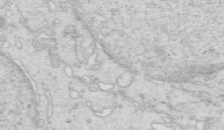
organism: Mouse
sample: Multiciliated cells